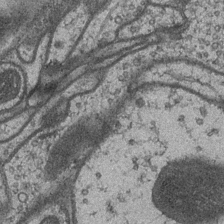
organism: Drosophila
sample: Optic medulla